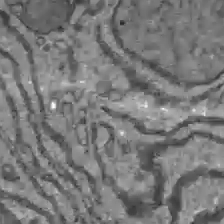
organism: C57BL Mouse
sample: Liver